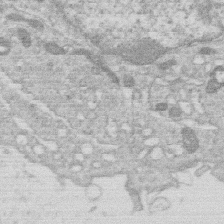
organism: Human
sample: Macrophage cells